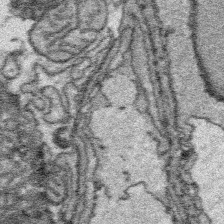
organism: Platynereis dumerilii